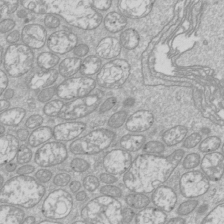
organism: Drosophila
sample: Cell division; meiosis; drosophila spermatocytes